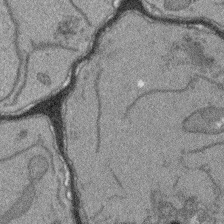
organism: Arabidopsis thaliana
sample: Root tip